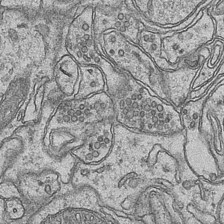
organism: Mouse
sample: CA1 Hippocampus